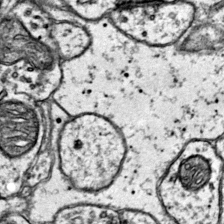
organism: Mouse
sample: Primary visual cortex